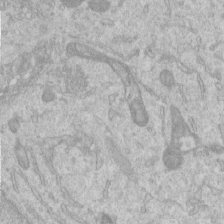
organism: Human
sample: Centriole in RPE cells